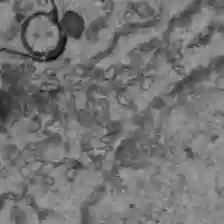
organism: C57BL Mouse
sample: Liver